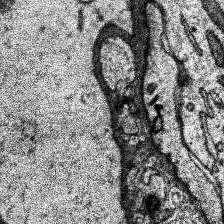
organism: Human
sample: Temporal Lobe